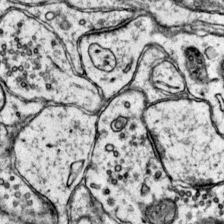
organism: Mouse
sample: Primary visual cortex